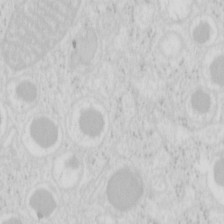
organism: Mouse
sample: Pancreas